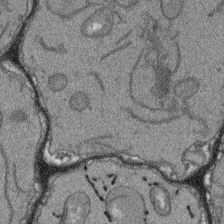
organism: Arabidopsis thaliana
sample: Root tip